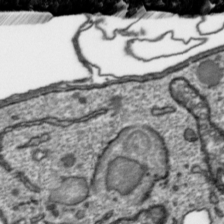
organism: Toxoplasma gondii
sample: Parasites in a vacuole inside a host cell